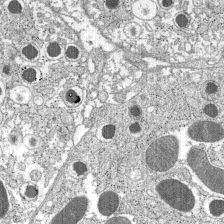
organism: C57BL Mouse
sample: Pancreatic islet